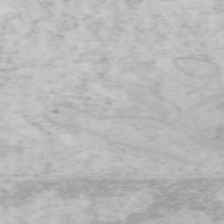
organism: Mouse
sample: OT-I killer T cells with ID8 ovarian cancer cells